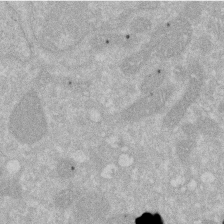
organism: Human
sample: HIV infected U937 cells